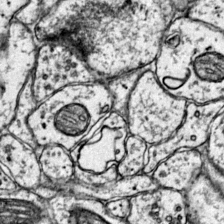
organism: Mouse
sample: Primary visual cortex